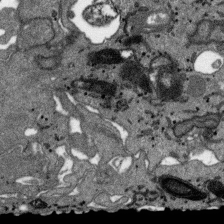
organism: Human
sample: Lung epithelial cells, uninfected (mock) control